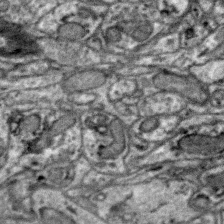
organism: Zebra finch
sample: Brain